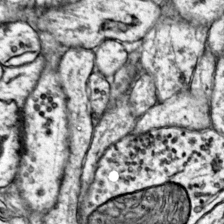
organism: Mouse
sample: Primary visual cortex